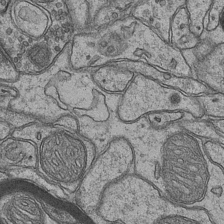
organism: Mouse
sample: CA1 Hippocampus